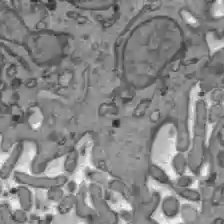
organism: C57BL Mouse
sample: Liver